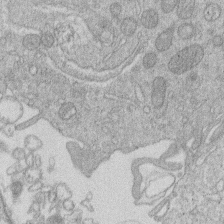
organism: Human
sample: Macrophage cells